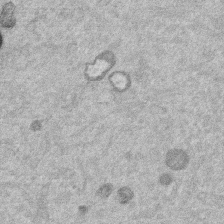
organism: Mouse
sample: Dividing mouse embryo 1 cell stage